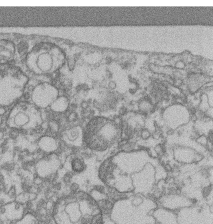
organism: Mouse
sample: T cell stromal cell synapse